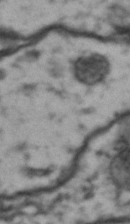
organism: Drosophila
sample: Brain